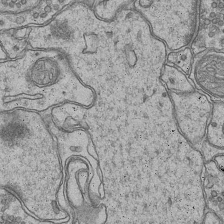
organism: Mouse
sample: CA1 Hippocampus